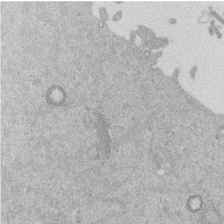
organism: Mouse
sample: Dividing mouse embryo 1 cell stage